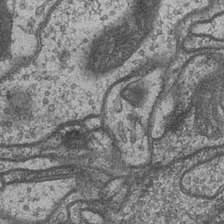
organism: Drosophila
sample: Optic medulla